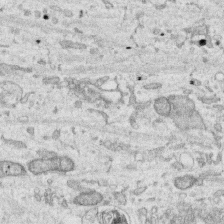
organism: Human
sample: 1205lu cells